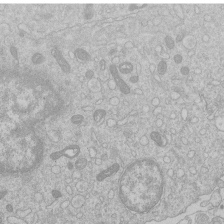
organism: Human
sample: Macrophage cells